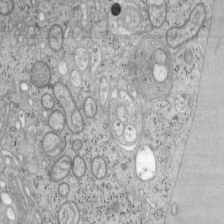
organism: Mouse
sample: OT-I killer T cells with ID8 ovarian cancer cells